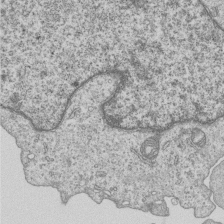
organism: Human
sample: MDA-MB-231 cells